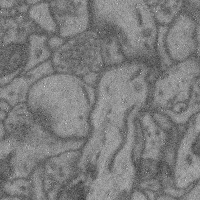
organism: Mouse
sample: Cerebral cortex